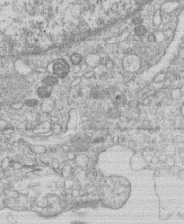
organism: Human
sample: Macrophage cells